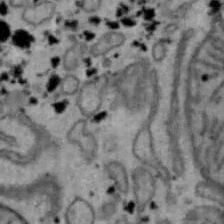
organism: Mouse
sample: Liver